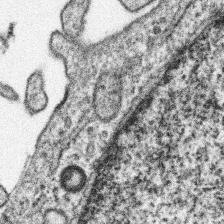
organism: Human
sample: HeLa cells